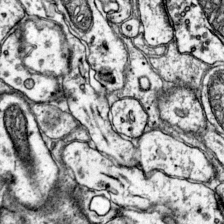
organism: Mouse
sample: Primary visual cortex